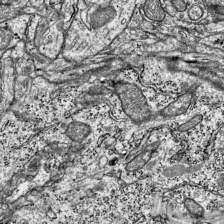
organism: Mouse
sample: Visual Cortex